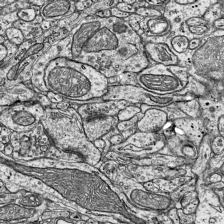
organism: Mouse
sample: Visual Cortex